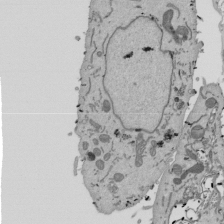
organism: Mouse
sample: ED-1 cell nuclei; centrioles